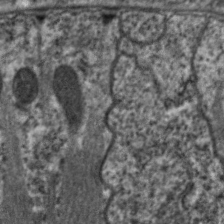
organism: C. elegans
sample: Pharynx